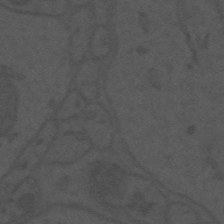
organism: Mouse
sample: Suprachiasmatic nucleus